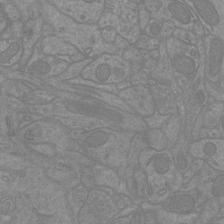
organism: Mouse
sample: Cortical neurons